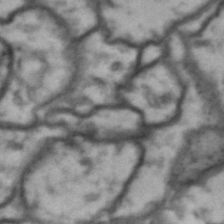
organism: Drosophila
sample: Brain